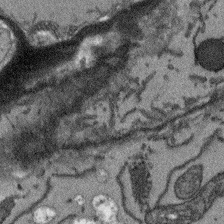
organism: Arabidopsis thaliana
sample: Root tip